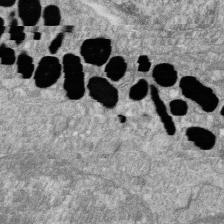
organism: Zebrafish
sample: Cilia; retinal pigment epithelium